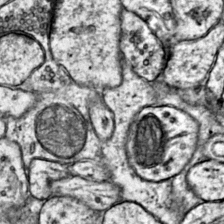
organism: Mouse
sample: Primary visual cortex